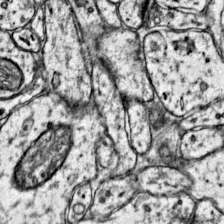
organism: Mouse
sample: Primary visual cortex